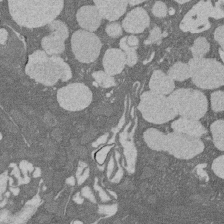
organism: Rat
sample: Salivary granule